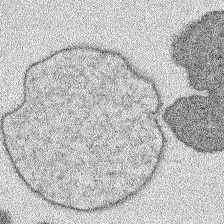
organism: Human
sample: HeLa cells